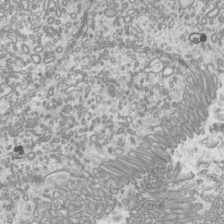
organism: Mouse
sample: Cilia; mouse epididymis